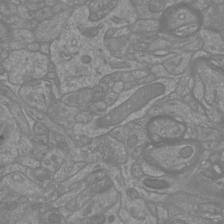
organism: Mouse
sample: Cortical neurons